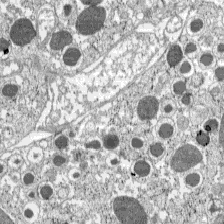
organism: C57BL Mouse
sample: Pancreatic islet